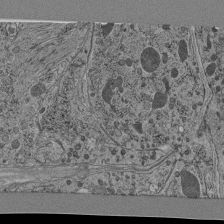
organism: C. elegans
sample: C. elegans pharynx